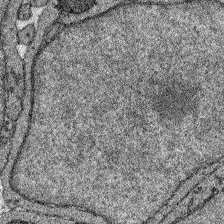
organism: Zebrafish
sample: Larval olfactory bulb